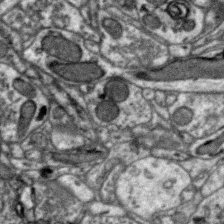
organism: Zebra finch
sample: Brain